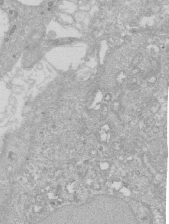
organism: Human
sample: Caco-2 cells